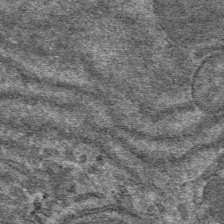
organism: Mouse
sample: Mouse hepatocytes